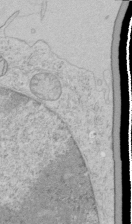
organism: Human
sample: Mitochondria in HCT116 cells